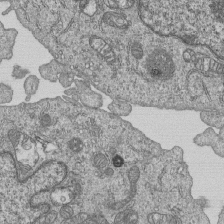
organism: Human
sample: MDA-MB-231 cells